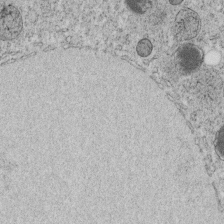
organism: C. elegans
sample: C. elegans embryo early stage